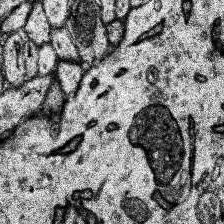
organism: Human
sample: Temporal Lobe